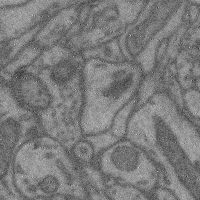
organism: Mouse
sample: Cerebral cortex